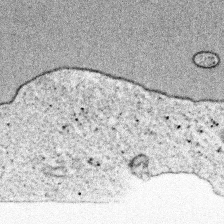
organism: Human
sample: HeLa cells